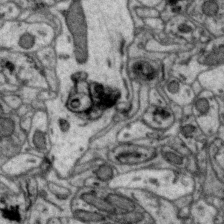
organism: Zebra finch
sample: Brain